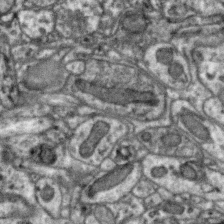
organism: Zebra finch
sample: Brain